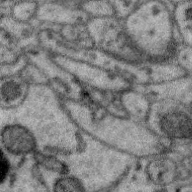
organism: Zebra finch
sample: Brain